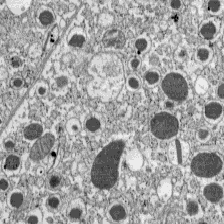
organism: C57BL Mouse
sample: Pancreatic islet